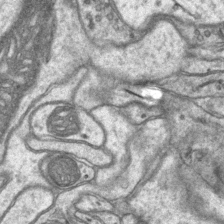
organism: Mouse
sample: CA1 Hippocampus